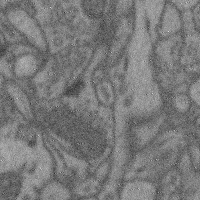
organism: Mouse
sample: Cerebral cortex